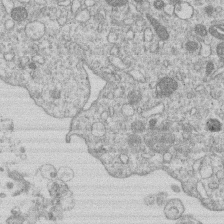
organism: Human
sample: Macrophage cells